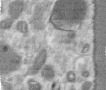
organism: Human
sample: Centriole in RPE cells